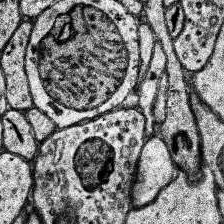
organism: Human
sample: Temporal Lobe